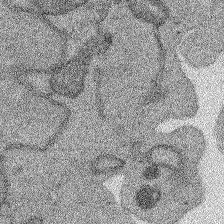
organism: Human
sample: HeLa cells